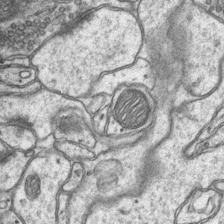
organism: Mouse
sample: CA1 Hippocampus